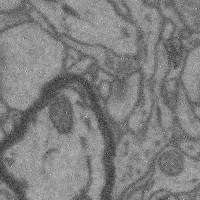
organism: Mouse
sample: Cerebral cortex